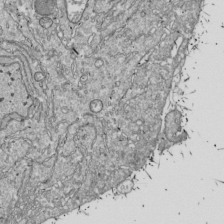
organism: Drosophila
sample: Cell division; meiosis; drosophila spermatocytes